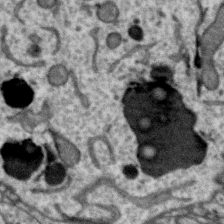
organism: Zebra finch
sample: Brain